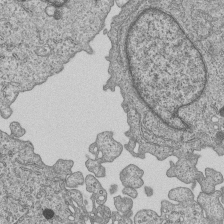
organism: Human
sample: MDA-MB-231 cells